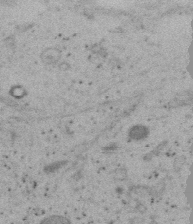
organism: Human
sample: HeLa cells